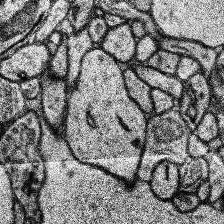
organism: Human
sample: Temporal Lobe